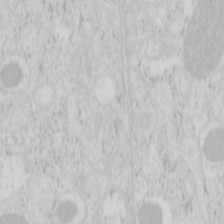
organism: Mouse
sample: Pancreas